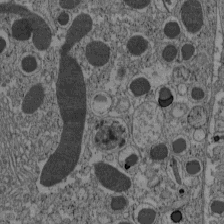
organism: C57BL Mouse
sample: Pancreatic islet